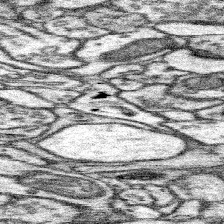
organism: Mouse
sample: Somatosensory cortex neuropil